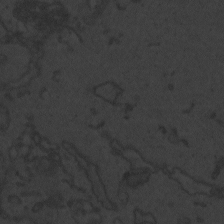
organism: Zebrafish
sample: Macrophage infected with Toxoplasma gondii